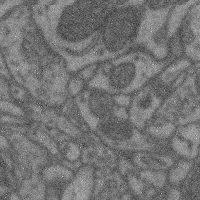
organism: Mouse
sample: Cerebral cortex